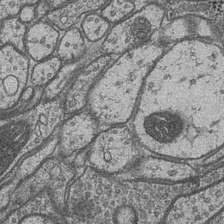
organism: Drosophila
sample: Optic medulla